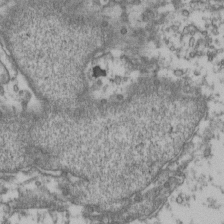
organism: Human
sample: Activated Jurkat CD4+ T cells